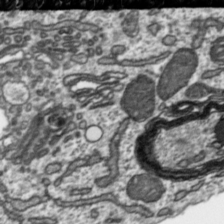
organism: Toxoplasma gondii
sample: Parasites in a vacuole inside a host cell